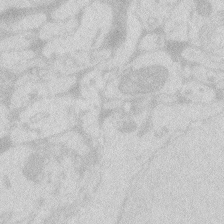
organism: Zebrafish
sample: Macrophage